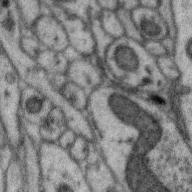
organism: Zebra finch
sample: Brain